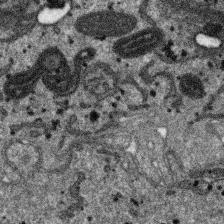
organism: Human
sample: Lung epithelial cells infected with SARS-CoV-2